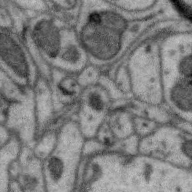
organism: Zebra finch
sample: Brain